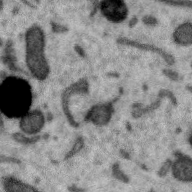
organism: Zebra finch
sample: Brain